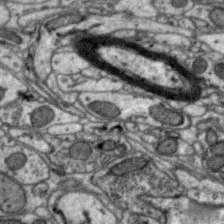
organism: Zebra finch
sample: Brain